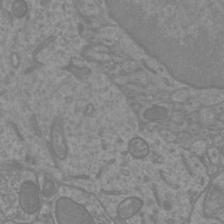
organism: Mouse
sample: Cortical neurons